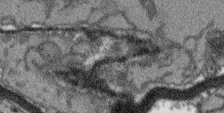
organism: Arabidopsis thaliana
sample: Root tip